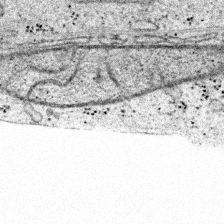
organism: Human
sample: HeLa cells